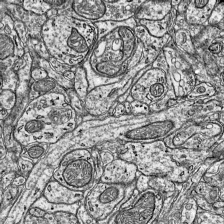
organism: Mouse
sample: Visual Cortex